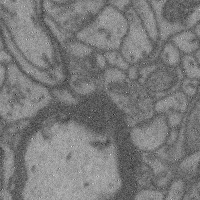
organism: Mouse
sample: Cerebral cortex